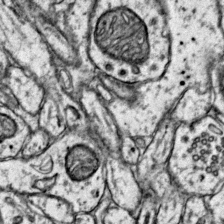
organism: Mouse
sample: Primary visual cortex